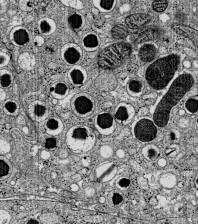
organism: C57BL Mouse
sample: Pancreatic islet